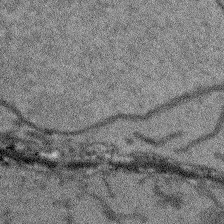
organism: Arabidopsis thaliana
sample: Root tip